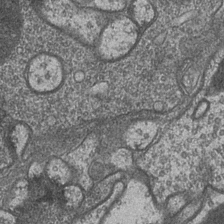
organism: Drosophila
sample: Optic medulla